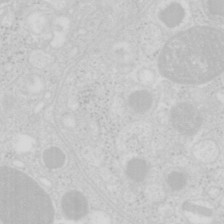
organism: Mouse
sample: Pancreas